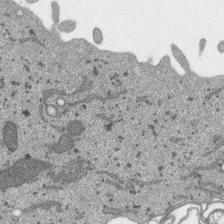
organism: Human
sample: Lung epithelial cells infected with SARS-CoV-2